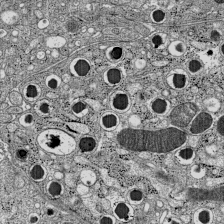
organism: C57BL Mouse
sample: Pancreatic islet